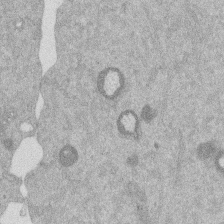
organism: Mouse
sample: Dividing mouse embryo 1 cell stage